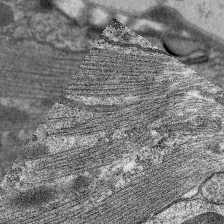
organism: C. elegans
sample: Pharynx